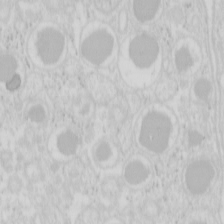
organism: Mouse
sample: Pancreas